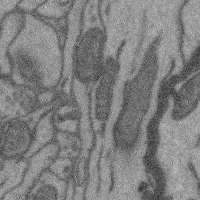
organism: Mouse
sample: Cerebral cortex